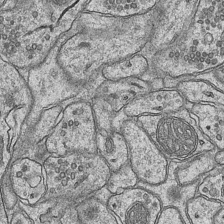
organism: Mouse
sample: CA1 Hippocampus